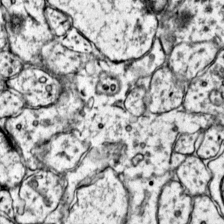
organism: Mouse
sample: Primary visual cortex